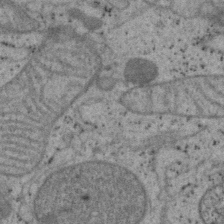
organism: Human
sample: HeLa cells